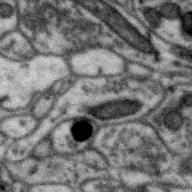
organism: Zebra finch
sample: Brain